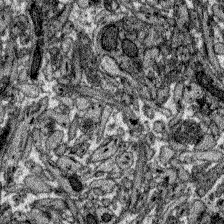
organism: Zebrafish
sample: Larval olfactory bulb